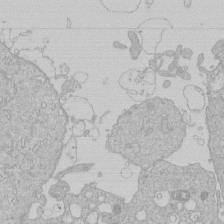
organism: Human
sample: Macrophage cells